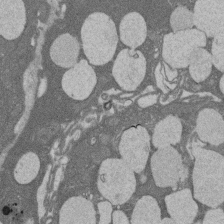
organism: Rat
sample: Salivary granule